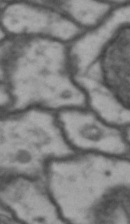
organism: Drosophila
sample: Brain